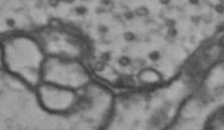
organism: Drosophila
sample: Brain